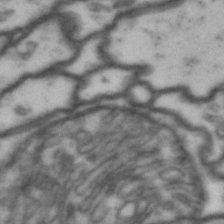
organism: Drosophila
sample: Brain